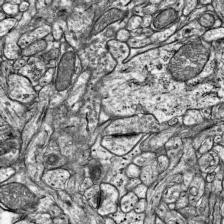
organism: Mouse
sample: Visual Cortex